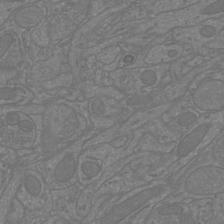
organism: Mouse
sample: Cortical neurons